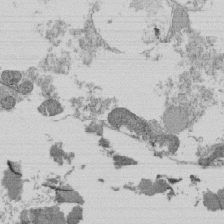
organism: Tetrahymena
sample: Cilia in tetrahymena